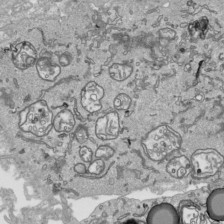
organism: Human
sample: Mitochondria in HCT116 cells